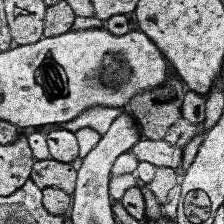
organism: Human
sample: Temporal Lobe